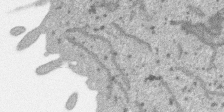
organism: Human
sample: Lung epithelial cells infected with SARS-CoV-2